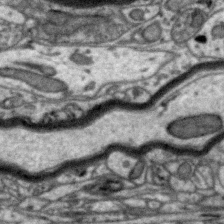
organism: Zebra finch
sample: Brain